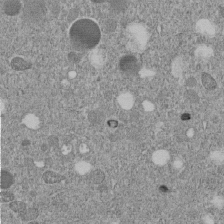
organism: C. elegans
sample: C. elegans embryo early stage